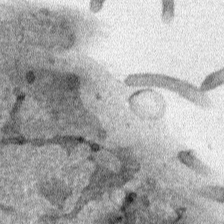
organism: Human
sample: Mitochondria in HCT116 cells